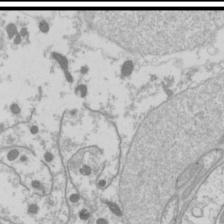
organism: Drosophila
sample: Cell division; meiosis; drosophila spermatocytes